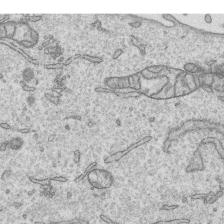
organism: Human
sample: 1205lu cells